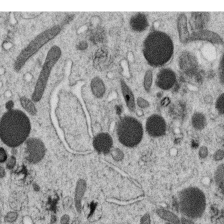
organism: C. elegans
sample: C. elegans oocyte; sperm cells